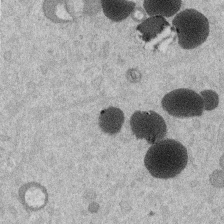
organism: Mouse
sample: Dividing mouse embryo 1 cell stage